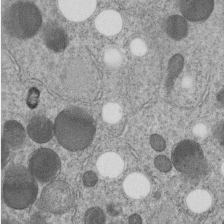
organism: C. elegans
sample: C. elegans embryo early stage